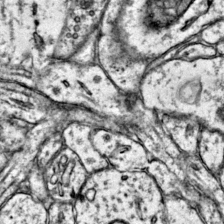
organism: Mouse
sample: Primary visual cortex